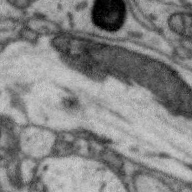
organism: Zebra finch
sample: Brain